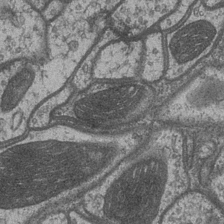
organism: Drosophila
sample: Optic medulla